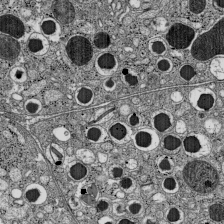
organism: C57BL Mouse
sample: Pancreatic islet